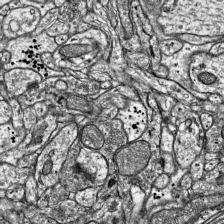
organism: Mouse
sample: Visual Cortex